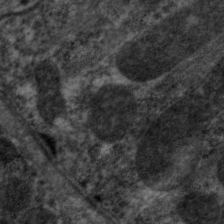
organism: C. elegans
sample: Pharynx